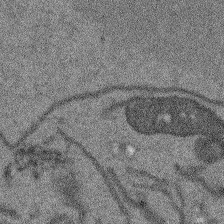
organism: Arabidopsis thaliana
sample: Root tip